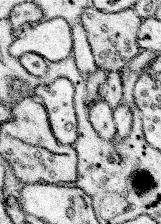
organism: Mouse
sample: Somatosensory cortex neuropil